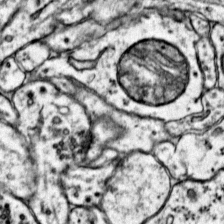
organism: Mouse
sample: Primary visual cortex